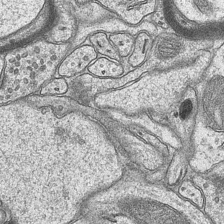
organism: Mouse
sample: CA1 Hippocampus